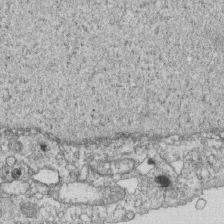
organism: Human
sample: HeLa cell HIV synapse